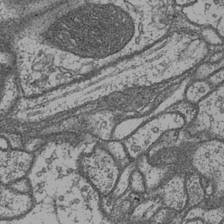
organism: Drosophila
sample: Optic medulla